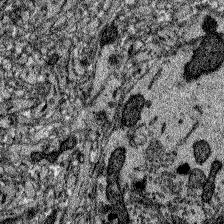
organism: Zebrafish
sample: Larval olfactory bulb